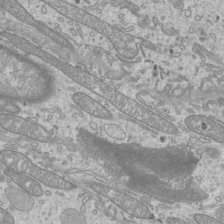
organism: Mouse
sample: Cilia; mouse epididymis